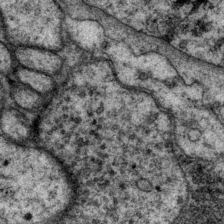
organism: P. pacificus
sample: Pharynx